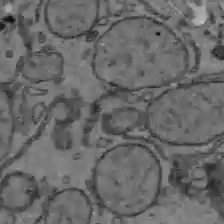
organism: C57BL Mouse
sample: Liver